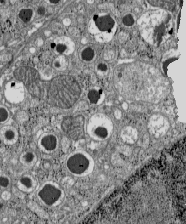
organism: C57BL Mouse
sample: Pancreatic islet